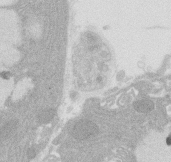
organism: Rat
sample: Salivary granule